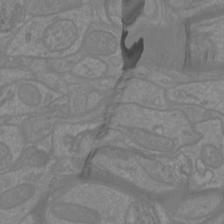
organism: Mouse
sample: Cortical neurons